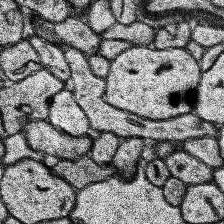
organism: Human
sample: Temporal Lobe